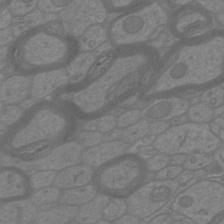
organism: Mouse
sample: Cortical neurons